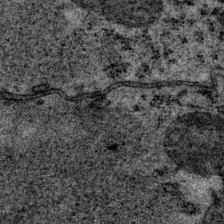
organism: P. pacificus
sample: Pharynx